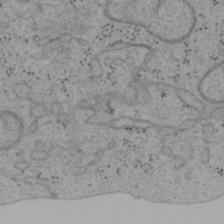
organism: Human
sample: HeLa cells